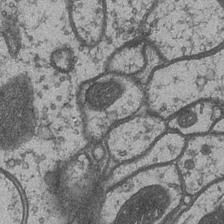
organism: Drosophila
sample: Optic medulla